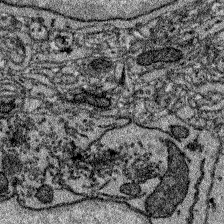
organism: Zebrafish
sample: Larval olfactory bulb